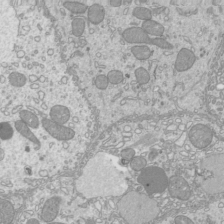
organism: Mouse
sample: Cilia; mouse epididymis